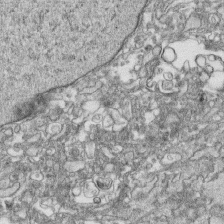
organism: Human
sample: CRL-1474